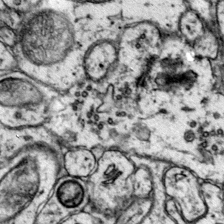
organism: Mouse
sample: Primary visual cortex